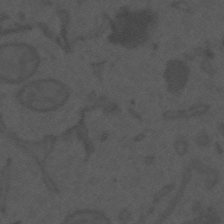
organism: Mouse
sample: Suprachiasmatic nucleus